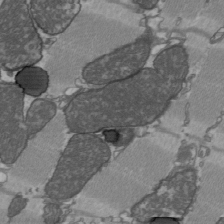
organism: C57BL Mouse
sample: Heart